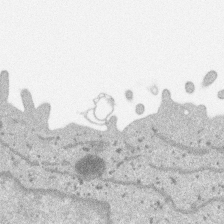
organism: Human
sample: Lung epithelial cells infected with SARS-CoV-2